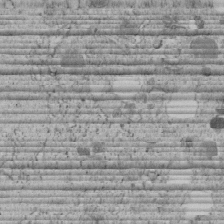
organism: C. elegans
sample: C. elegans embryo early stage